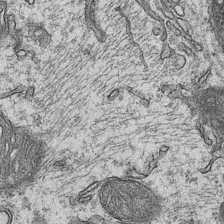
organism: Mouse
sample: CA1 Hippocampus